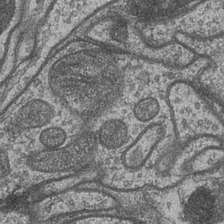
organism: Drosophila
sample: Optic medulla